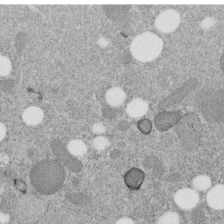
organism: C. elegans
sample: C. elegans embryo early stage